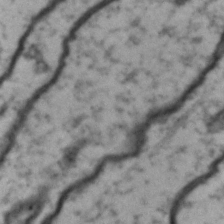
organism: Drosophila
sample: Brain